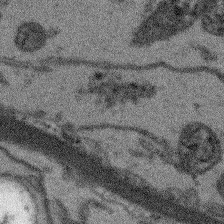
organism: Arabidopsis thaliana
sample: Root tip